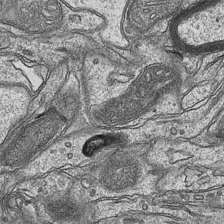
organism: Mouse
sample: CA1 Hippocampus